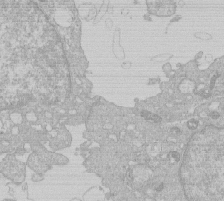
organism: Human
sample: Macrophage cells